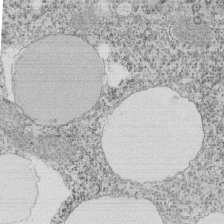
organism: Tetrahymena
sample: Cilia in tetrahymena